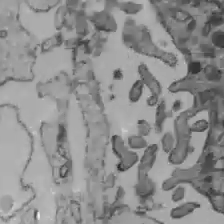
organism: C57BL Mouse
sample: Liver